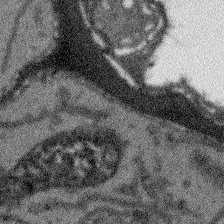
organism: Arabidopsis thaliana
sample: Root tip